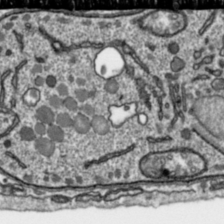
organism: Toxoplasma gondii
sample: Parasites in a vacuole inside a host cell